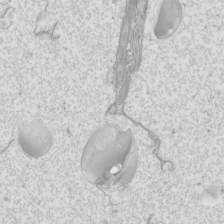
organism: Mouse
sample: Cilia; mouse epididymis